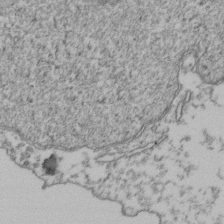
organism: Human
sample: Activated Jurkat CD4+ T cells